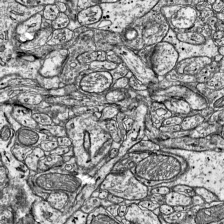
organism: Mouse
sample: Visual Cortex